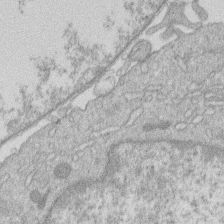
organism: Human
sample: Macrophage cells